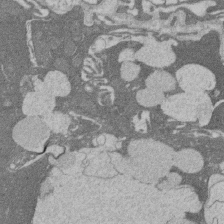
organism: Rat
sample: Salivary granule